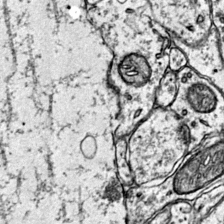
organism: Mouse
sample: Primary visual cortex